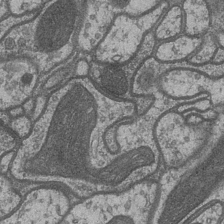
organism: Drosophila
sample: Optic medulla